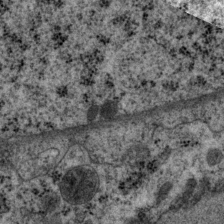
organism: P. pacificus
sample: Pharynx